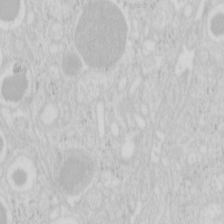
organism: Mouse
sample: Pancreas